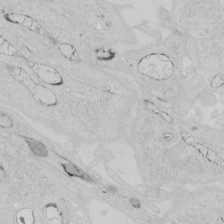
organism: Human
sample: Mitochondria in HCT116 cells